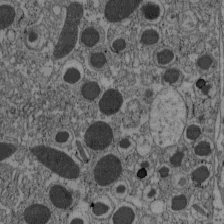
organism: C57BL Mouse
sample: Pancreatic islet